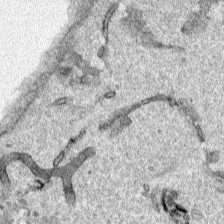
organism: Human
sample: Mitochondria in HCT116 cells